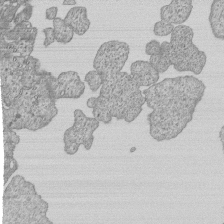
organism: Human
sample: MDA-MB-231 cells